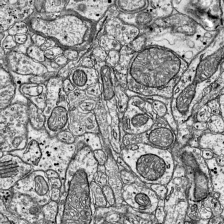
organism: Mouse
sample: Visual Cortex